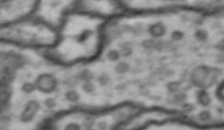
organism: Drosophila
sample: Brain